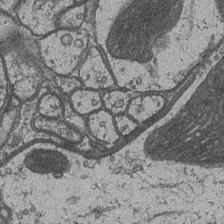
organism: Drosophila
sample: Optic medulla